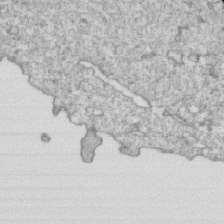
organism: Mouse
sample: Activated OT-1 CD8+ T cells